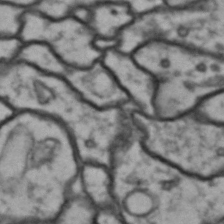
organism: Drosophila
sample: Brain